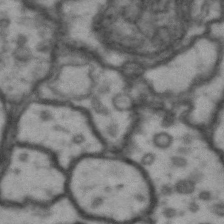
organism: Drosophila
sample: Brain